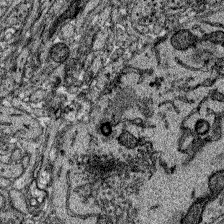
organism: Zebrafish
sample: Larval olfactory bulb